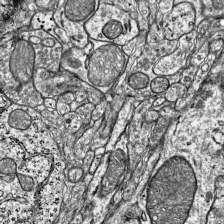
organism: Mouse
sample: Visual Cortex